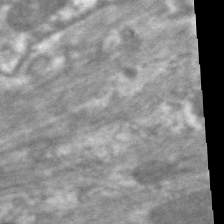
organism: C. elegans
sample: Pharynx